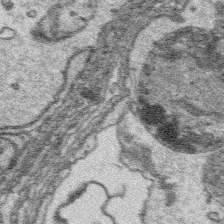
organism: Platynereis dumerilii